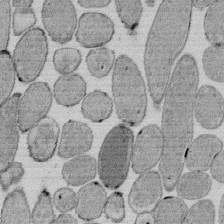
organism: E. coli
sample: Bacterial nucleoid